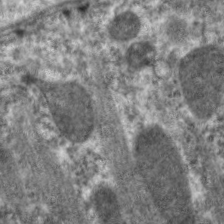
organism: C. elegans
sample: Pharynx